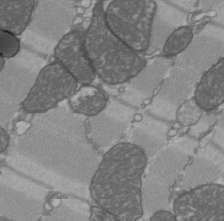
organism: C57BL Mouse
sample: Heart